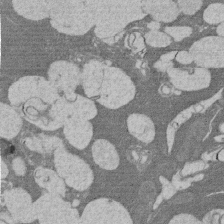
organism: Rat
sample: Salivary granule